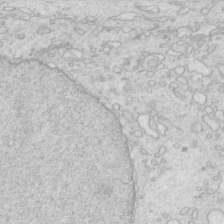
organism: Mouse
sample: Multiciliated cells